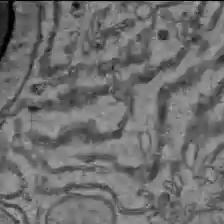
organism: C57BL Mouse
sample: Liver